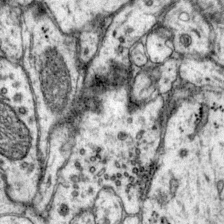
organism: Mouse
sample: Primary visual cortex